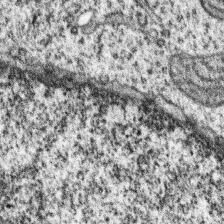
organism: Human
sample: HeLa cells